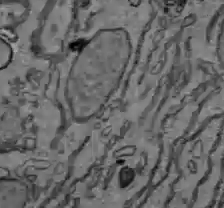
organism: C57BL Mouse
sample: Liver